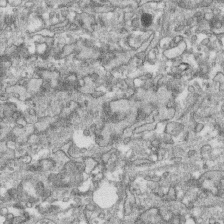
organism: Human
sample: CRL-1474